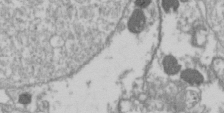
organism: Drosophila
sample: Cell division; meiosis; drosophila spermatocytes